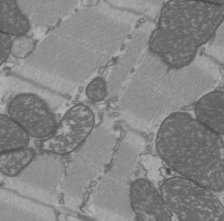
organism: C57BL Mouse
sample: Heart